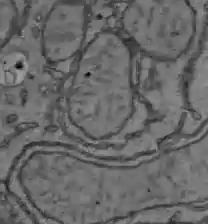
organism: C57BL Mouse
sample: Liver